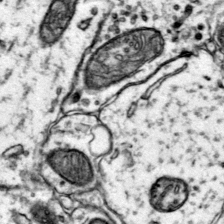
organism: Mouse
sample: Primary visual cortex